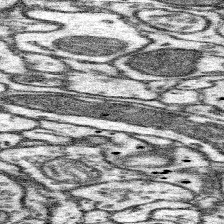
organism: Mouse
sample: Somatosensory cortex neuropil